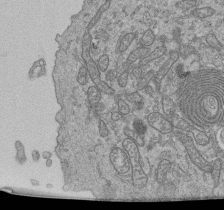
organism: Human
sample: Retinal organoid Rod and Cone cells